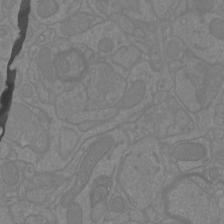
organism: Mouse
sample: Cortical neurons